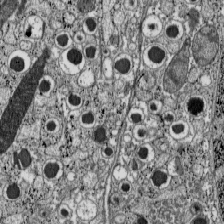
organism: C57BL Mouse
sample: Pancreatic islet